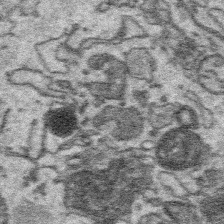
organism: Platynereis dumerilii